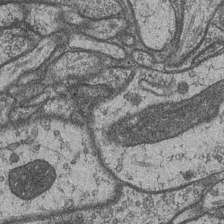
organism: Drosophila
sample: Optic medulla